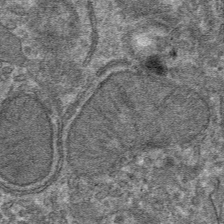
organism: Mouse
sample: Mouse hepatocytes